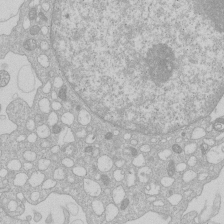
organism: Human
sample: Macrophage cells